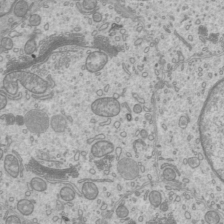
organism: Mouse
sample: Cilia; mouse epididymis